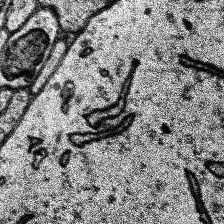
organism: Human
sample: Temporal Lobe